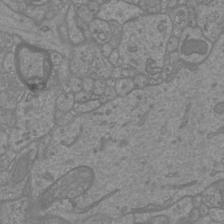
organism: Mouse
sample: Cortical neurons